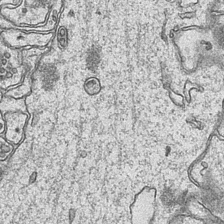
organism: Mouse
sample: CA1 Hippocampus